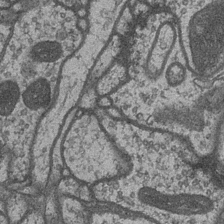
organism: Drosophila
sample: Optic medulla